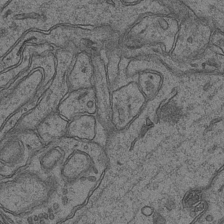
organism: Mouse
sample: CA1 Hippocampus